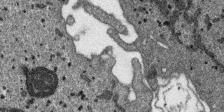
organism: Human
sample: Lung epithelial cells infected with SARS-CoV-2